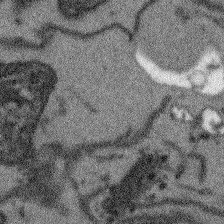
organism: Arabidopsis thaliana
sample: Root tip